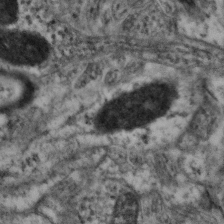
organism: Mouse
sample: Neocortex